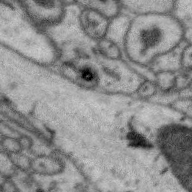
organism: Zebra finch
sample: Brain